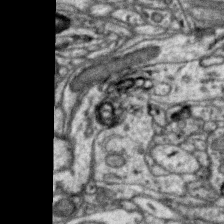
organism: Zebra finch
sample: Brain